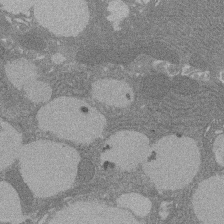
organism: Rat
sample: Salivary granule